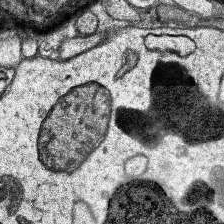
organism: Human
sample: Temporal Lobe